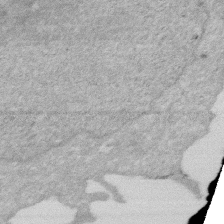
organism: Human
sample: HIV infected U937 cells